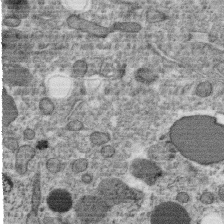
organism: C. elegans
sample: C. elegans oocyte; sperm cells